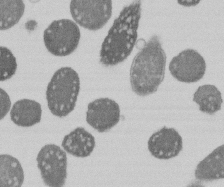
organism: E. coli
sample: Bacterial nucleoid